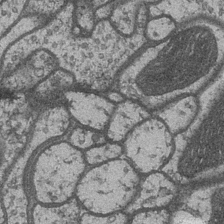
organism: Drosophila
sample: Optic medulla